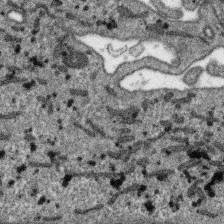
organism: Human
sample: Lung epithelial cells infected with SARS-CoV-2